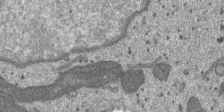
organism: Human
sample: Lung epithelial cells infected with SARS-CoV-2